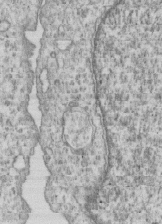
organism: Human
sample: MDA-MB-231 cells